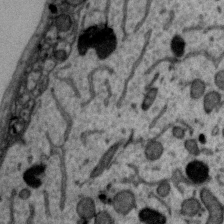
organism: Zebra finch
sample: Brain